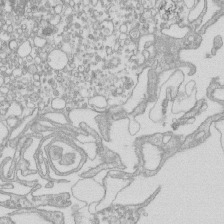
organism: Mouse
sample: Macrophages